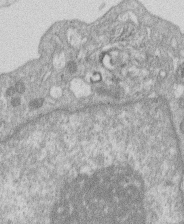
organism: Human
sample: Macrophage cells